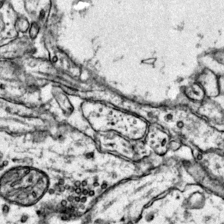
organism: Mouse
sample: Primary visual cortex